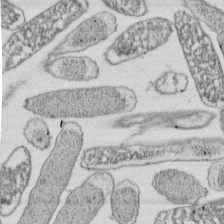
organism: E. coli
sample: Bacterial nucleoid